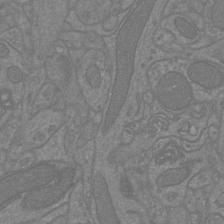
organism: Mouse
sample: Cortical neurons